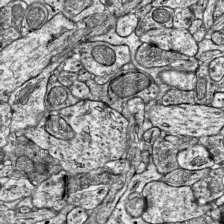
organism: Mouse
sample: Visual Cortex